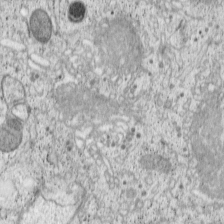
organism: African green monkey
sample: COS-7 cells